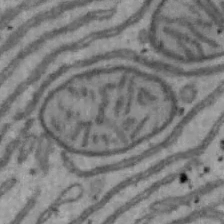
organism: Mouse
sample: Liver